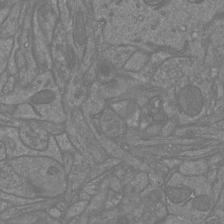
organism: Mouse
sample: Cortical neurons